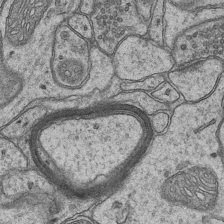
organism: Mouse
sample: CA1 Hippocampus